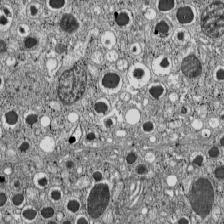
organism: C57BL Mouse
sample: Pancreatic islet